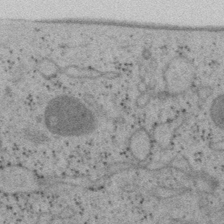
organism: Human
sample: HeLa cells